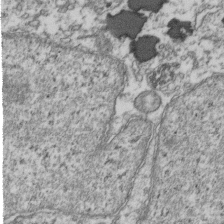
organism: Human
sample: Activated Jurkat CD4+ T cells